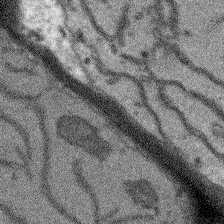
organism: Arabidopsis thaliana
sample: Root tip